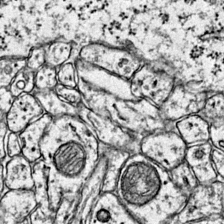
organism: Mouse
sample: Primary visual cortex